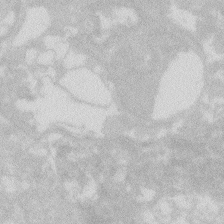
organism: Zebrafish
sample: Macrophage